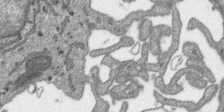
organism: Human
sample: Lung epithelial cells infected with SARS-CoV-2